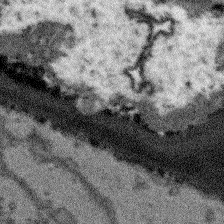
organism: Arabidopsis thaliana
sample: Root tip